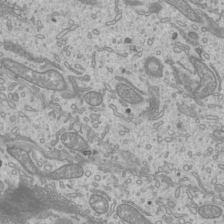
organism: Mouse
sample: Cilia; mouse epididymis